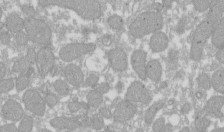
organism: Xenopus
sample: Cilia; centrioles in frog embryo cells